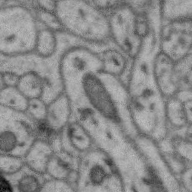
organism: Zebra finch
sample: Brain